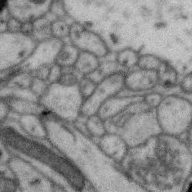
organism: Zebra finch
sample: Brain